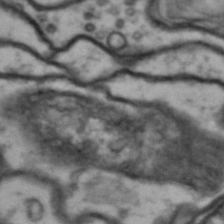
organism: Drosophila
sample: Brain